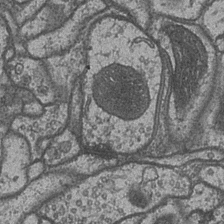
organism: Drosophila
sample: Optic medulla